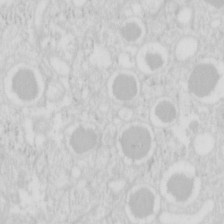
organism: Mouse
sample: Pancreas